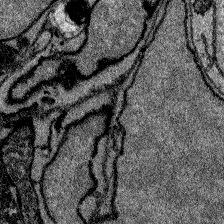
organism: Zebrafish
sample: Larval olfactory bulb